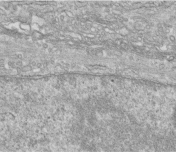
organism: Human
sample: Centriole in fibroblast cells